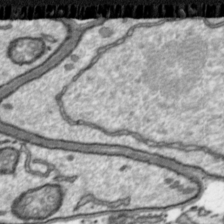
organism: Toxoplasma gondii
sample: Parasites in a vacuole inside a host cell